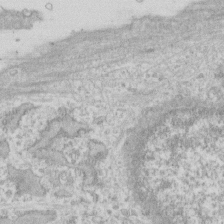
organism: Human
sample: Fibroblast cells